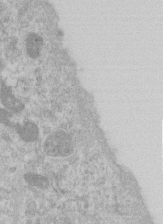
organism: Human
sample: Centriole in RPE cells